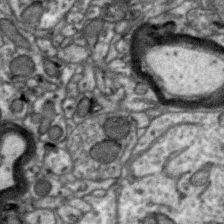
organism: Zebra finch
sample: Brain